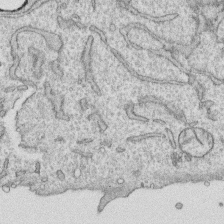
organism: Human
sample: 1205lu cells